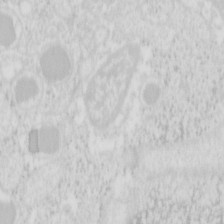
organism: Mouse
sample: Pancreas